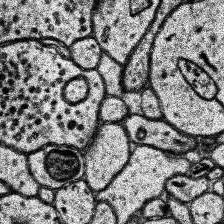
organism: Human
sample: Temporal Lobe